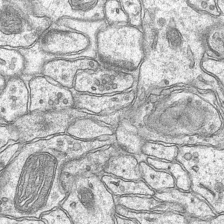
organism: Mouse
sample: CA1 Hippocampus